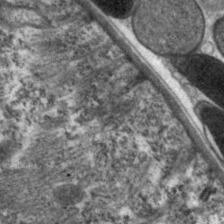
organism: C. elegans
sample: Pharynx